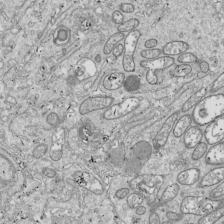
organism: Drosophila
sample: Cell division; meiosis; drosophila spermatocytes